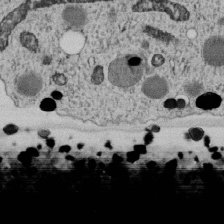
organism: C. elegans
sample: C. elegans embryo early stage